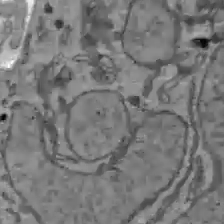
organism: C57BL Mouse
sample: Liver